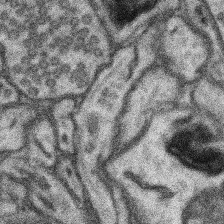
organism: Mouse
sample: Somatosensory cortex neuropil